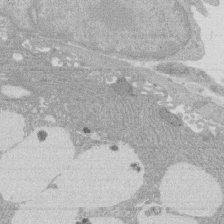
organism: Rat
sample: Salivary granule